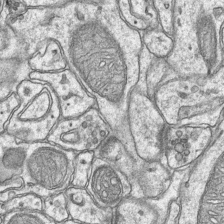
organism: Mouse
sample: CA1 Hippocampus